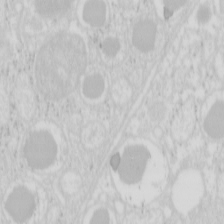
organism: Mouse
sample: Pancreas